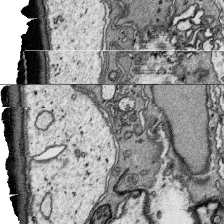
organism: Platynereis dumerilii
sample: Parapodia